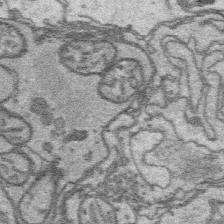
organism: Platynereis dumerilii